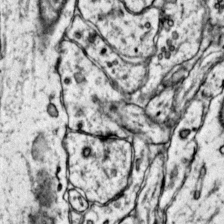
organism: Mouse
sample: Primary visual cortex